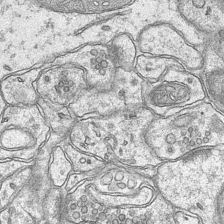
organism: Mouse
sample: CA1 Hippocampus